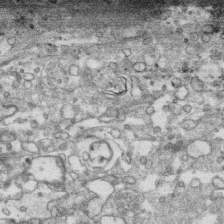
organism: Human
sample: CRL-1474